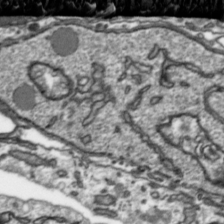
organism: Toxoplasma gondii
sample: Parasites in a vacuole inside a host cell